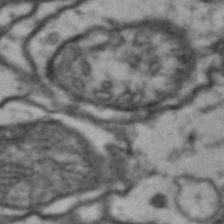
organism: Drosophila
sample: Brain